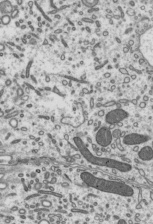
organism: Mouse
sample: Mouse epididymis efferent ductule cilia